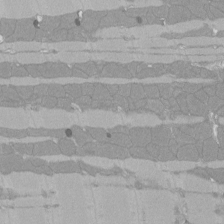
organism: Rat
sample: Left ventricle